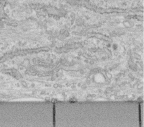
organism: Human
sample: Centriole in fibroblast cells